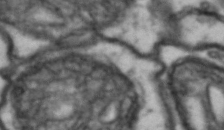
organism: Drosophila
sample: Brain